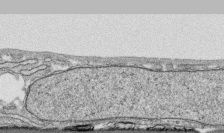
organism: Human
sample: CRL-1474